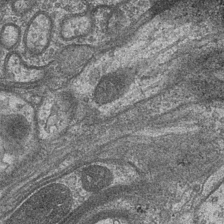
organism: Drosophila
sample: Optic medulla